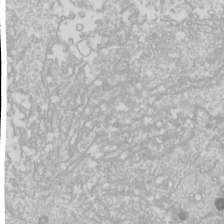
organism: Drosophila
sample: Cell division; meiosis; drosophila spermatocytes